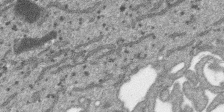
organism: Human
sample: Lung epithelial cells infected with SARS-CoV-2